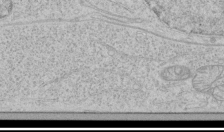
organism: Human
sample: Mitochondria in HCT116 cells